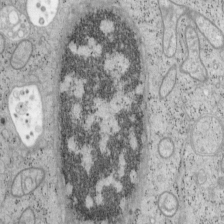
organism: Mouse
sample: OT-I killer T cells with ID8 ovarian cancer cells